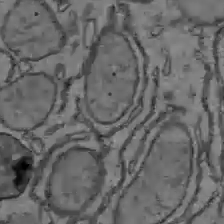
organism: C57BL Mouse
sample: Liver